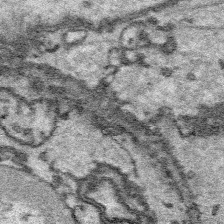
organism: Platynereis dumerilii